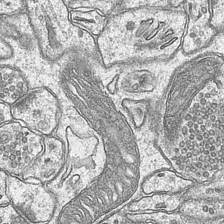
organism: Mouse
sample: CA1 Hippocampus